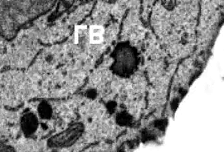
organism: Human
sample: HeLa cells